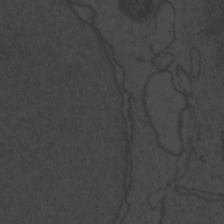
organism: Zebrafish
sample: Macrophage infected with Toxoplasma gondii